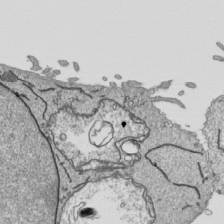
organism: Human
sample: Mitochondria in HCT116 cells